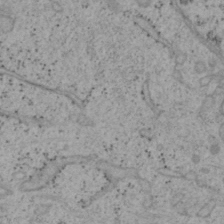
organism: Human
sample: HeLa cells